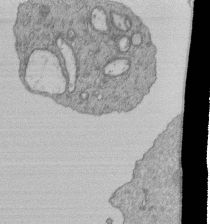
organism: Human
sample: Retinal organoid Rod and Cone cells